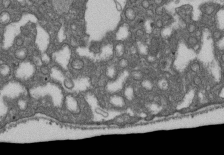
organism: Drosophila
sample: Nephrocyte